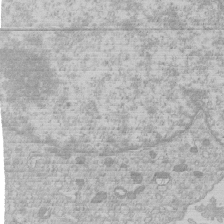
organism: Human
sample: Macrophage cells